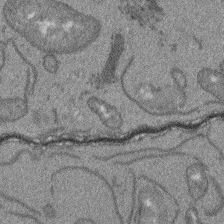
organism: Arabidopsis thaliana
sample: Root tip